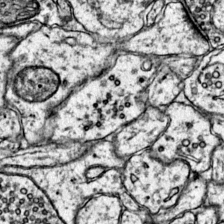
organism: Mouse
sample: Primary visual cortex